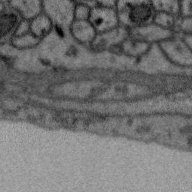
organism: Zebra finch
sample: Brain